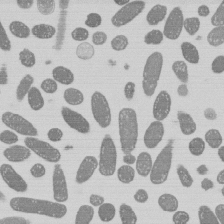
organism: E. coli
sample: Bacterial nucleoid